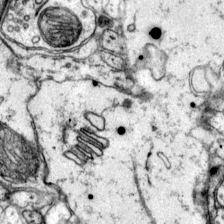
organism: Mouse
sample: Primary visual cortex